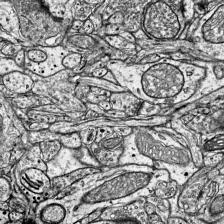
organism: Mouse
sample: Visual Cortex